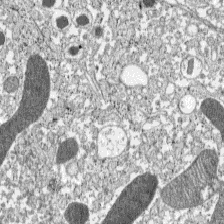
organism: C57BL Mouse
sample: Pancreatic islet